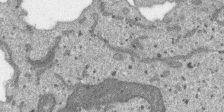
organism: Human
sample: Lung epithelial cells infected with SARS-CoV-2